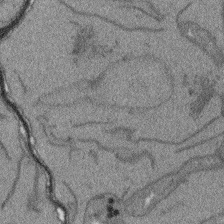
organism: Arabidopsis thaliana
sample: Root tip